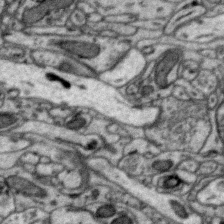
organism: Zebra finch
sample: Brain